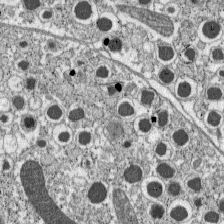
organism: C57BL Mouse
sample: Pancreatic islet